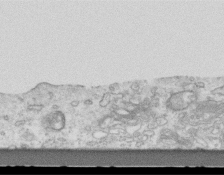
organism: Mouse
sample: Centriole in ependymal cells